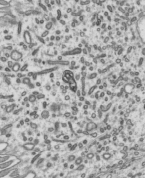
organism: Mouse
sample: Mouse epididymis efferent ductule cilia